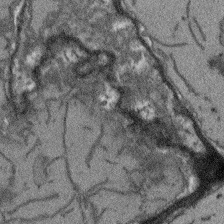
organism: Arabidopsis thaliana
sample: Root tip